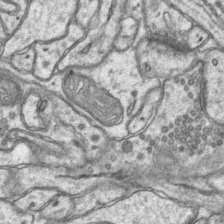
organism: Mouse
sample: CA1 Hippocampus